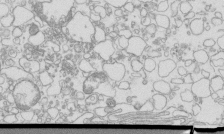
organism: Mouse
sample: Macrophages